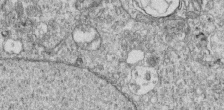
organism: Human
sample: HeLa cell HIV synapse